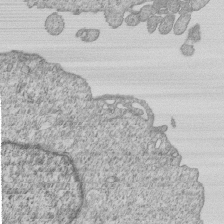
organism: Human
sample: MDA-MB-231 cells